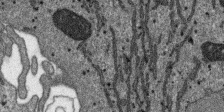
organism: Human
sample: Lung epithelial cells infected with SARS-CoV-2